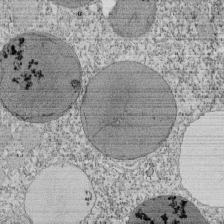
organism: Tetrahymena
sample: Cilia in tetrahymena